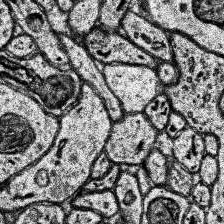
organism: Human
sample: Temporal Lobe